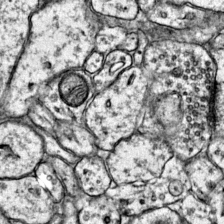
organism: Mouse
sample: Primary visual cortex